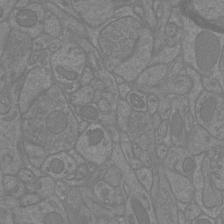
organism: Mouse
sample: Cortical neurons